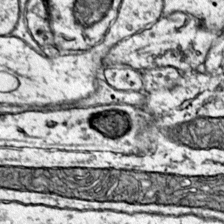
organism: Mouse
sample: Primary visual cortex